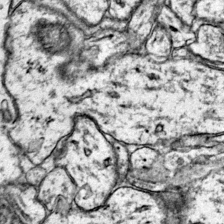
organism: Mouse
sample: Primary visual cortex